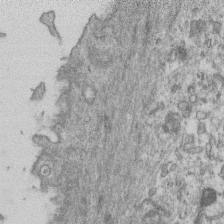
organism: Mouse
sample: Centriole in ependymal cells